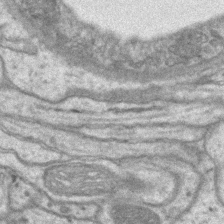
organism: Mouse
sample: CA1 Hippocampus